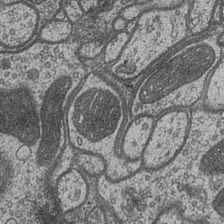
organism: Drosophila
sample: Optic medulla